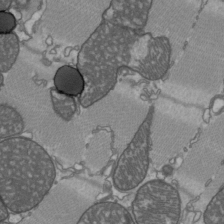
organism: C57BL Mouse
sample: Heart